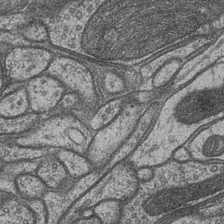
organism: Drosophila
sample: Optic medulla